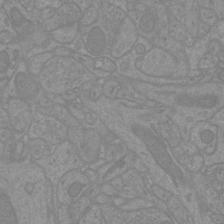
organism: Mouse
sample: Cortical neurons